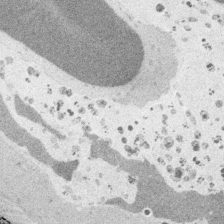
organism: Embia sp.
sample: Silk gland